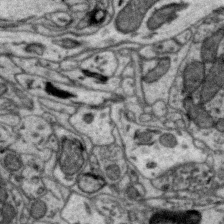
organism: Zebra finch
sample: Brain